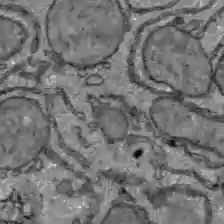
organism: C57BL Mouse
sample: Liver